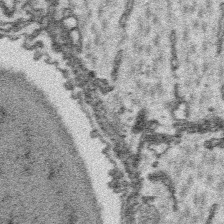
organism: Platynereis dumerilii